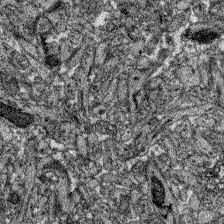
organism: Zebrafish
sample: Larval olfactory bulb